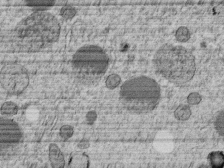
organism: C. elegans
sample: C. elegans embryo early stage